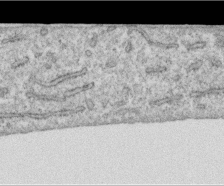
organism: Human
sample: Centriole in RPE cells